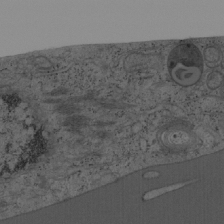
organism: Human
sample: HeLa cells